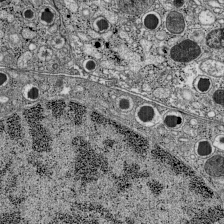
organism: C57BL Mouse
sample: Pancreatic islet